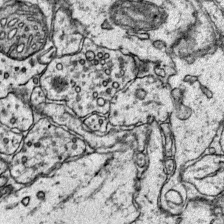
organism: Mouse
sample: Primary visual cortex